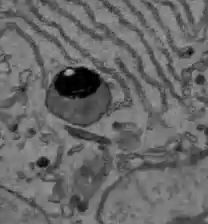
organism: C57BL Mouse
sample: Liver